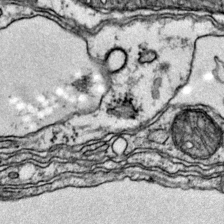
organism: Mouse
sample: Primary visual cortex